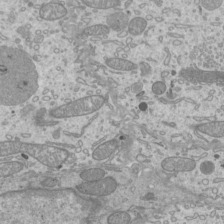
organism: Mouse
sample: Cilia; mouse epididymis